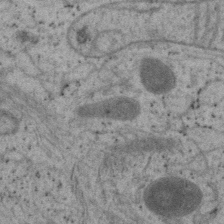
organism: Human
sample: HeLa cells